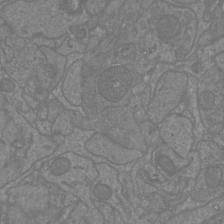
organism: Mouse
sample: Cortical neurons